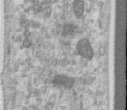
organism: Human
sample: Centriole in RPE cells